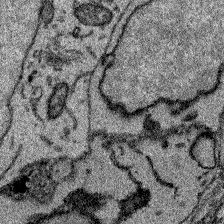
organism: Zebrafish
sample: Larval olfactory bulb